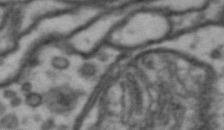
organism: Drosophila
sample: Brain